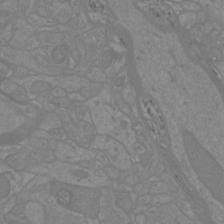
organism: Mouse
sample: Cortical neurons